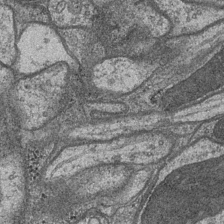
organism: Drosophila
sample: Optic medulla